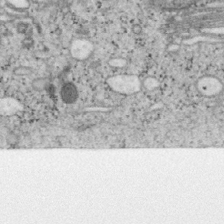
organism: Mouse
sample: OT-I killer T cells with ID8 ovarian cancer cells